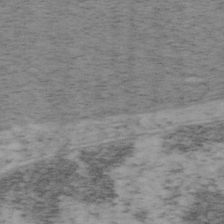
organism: Mouse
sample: OT-I killer T cells with ID8 ovarian cancer cells